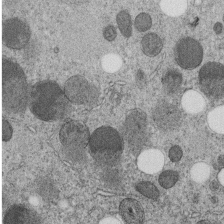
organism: C. elegans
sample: C. elegans embryo early stage